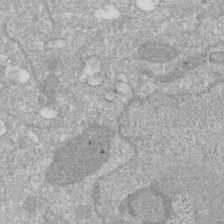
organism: Human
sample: HIV infected U937 cells